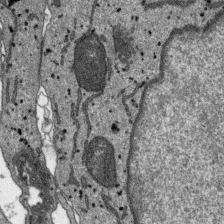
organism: Human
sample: Lung epithelial cells, uninfected (mock) control